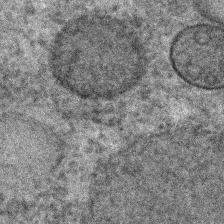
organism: C. elegans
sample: C. elegans embryo